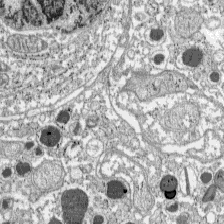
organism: C57BL Mouse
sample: Pancreatic islet